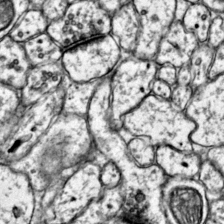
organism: Mouse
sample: Primary visual cortex